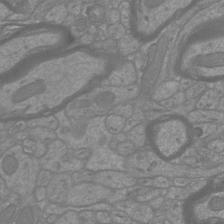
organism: Mouse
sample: Cortical neurons